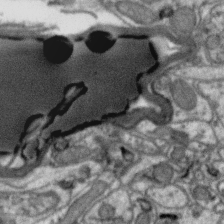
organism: Zebra finch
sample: Brain